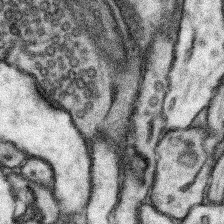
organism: Mouse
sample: Somatosensory cortex neuropil